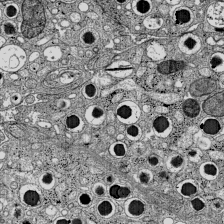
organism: C57BL Mouse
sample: Pancreatic islet